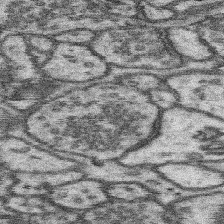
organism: Mouse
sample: Somatosensory cortex neuropil